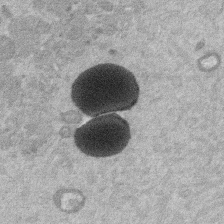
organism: Mouse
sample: Dividing mouse embryo 1 cell stage